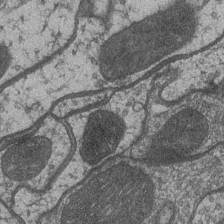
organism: Drosophila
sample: Optic medulla